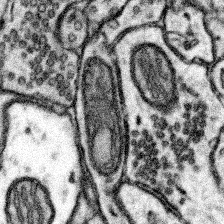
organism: Mouse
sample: Somatosensory cortex neuropil